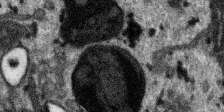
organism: Human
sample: Lung epithelial cells infected with SARS-CoV-2